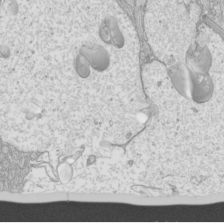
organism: Mouse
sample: Cilia; mouse epididymis